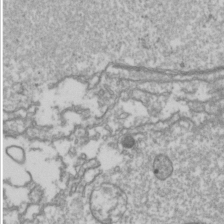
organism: Drosophila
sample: Cell division; meiosis; drosophila spermatocytes